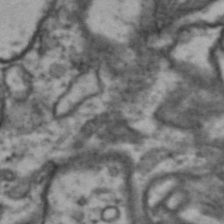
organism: Drosophila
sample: Brain